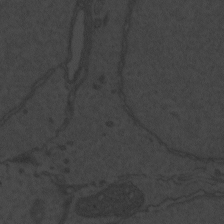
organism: Zebrafish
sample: Macrophage infected with Toxoplasma gondii